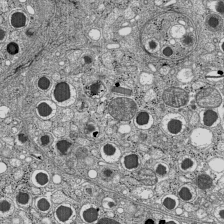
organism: C57BL Mouse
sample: Pancreatic islet